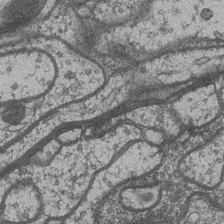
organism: Drosophila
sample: Optic medulla